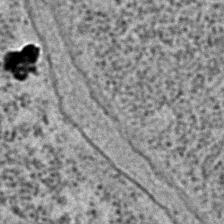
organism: C. elegans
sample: C. elegans embryo